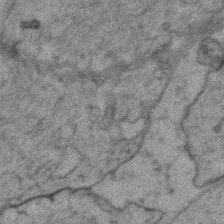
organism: Zebrafish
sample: Zebrafish embryo